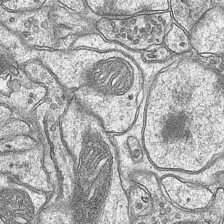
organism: Mouse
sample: CA1 Hippocampus